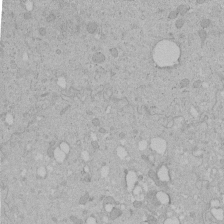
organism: Human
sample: Melanocyte Keratinocyte synapse skin construct